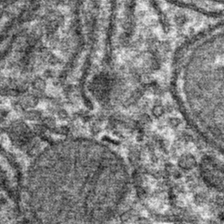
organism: Mouse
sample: Mouse hepatocytes